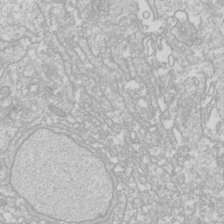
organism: Drosophila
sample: Cell division; meiosis; drosophila spermatocytes